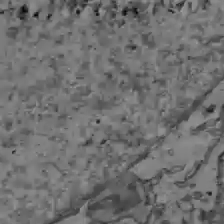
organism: C57BL Mouse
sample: Liver